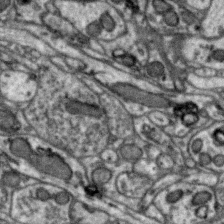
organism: Zebra finch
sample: Brain